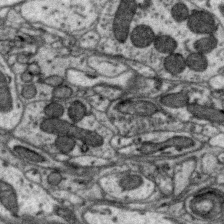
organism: Zebra finch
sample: Brain